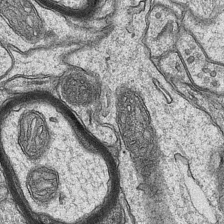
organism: Mouse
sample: CA1 Hippocampus